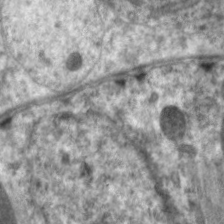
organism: C. elegans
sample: Pharynx